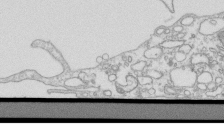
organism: Mouse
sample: Macrophages